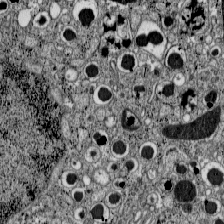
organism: C57BL Mouse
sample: Pancreatic islet